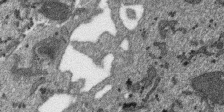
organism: Human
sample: Lung epithelial cells infected with SARS-CoV-2